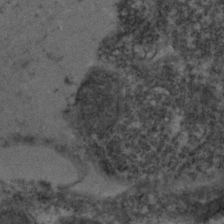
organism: Zebrafish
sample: Zebrafish embryo